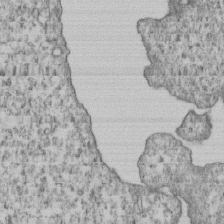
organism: Human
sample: MDA-MB-231 cells